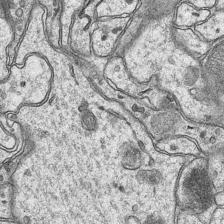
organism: Mouse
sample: CA1 Hippocampus